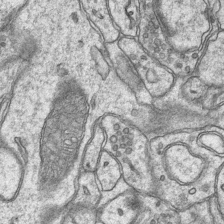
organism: Mouse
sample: CA1 Hippocampus